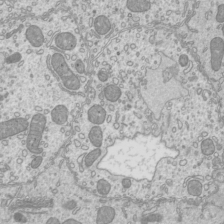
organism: Mouse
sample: Cilia; mouse epididymis